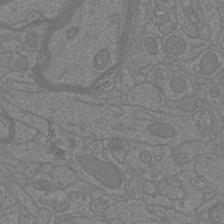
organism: Mouse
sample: Cortical neurons